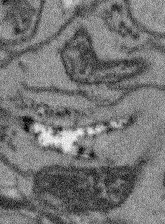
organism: Arabidopsis thaliana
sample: Root tip